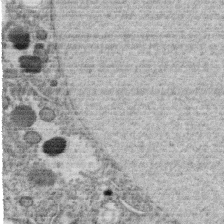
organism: C. elegans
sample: C. elegans oocyte; sperm cells